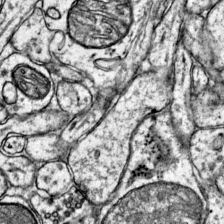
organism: Mouse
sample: Primary visual cortex